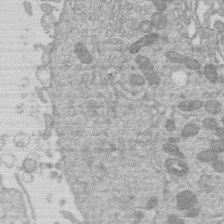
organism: Human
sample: Macrophage cells